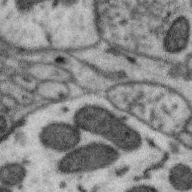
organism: Zebra finch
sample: Brain